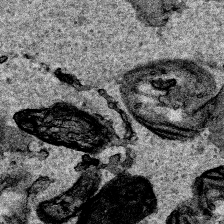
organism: Human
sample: Mitochondria in HCT116 cells